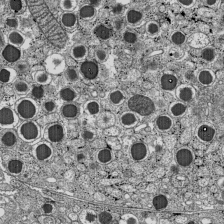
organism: C57BL Mouse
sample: Pancreatic islet